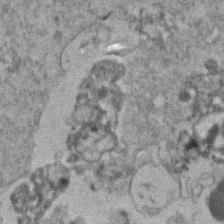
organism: Human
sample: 1205lu cells